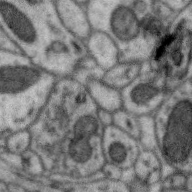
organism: Zebra finch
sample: Brain